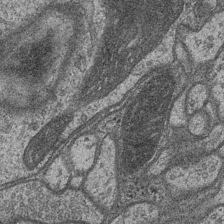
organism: Drosophila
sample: Optic medulla